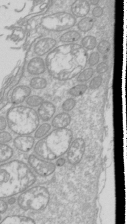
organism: Drosophila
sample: Cell division; meiosis; drosophila spermatocytes